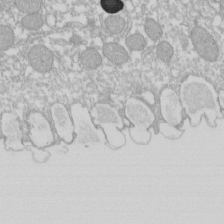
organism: Xenopus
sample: Cilia; centrioles in frog embryo cells